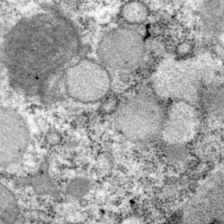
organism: P. pacificus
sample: Pharynx